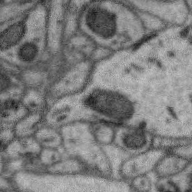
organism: Zebra finch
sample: Brain